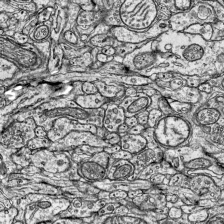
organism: Mouse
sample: Visual Cortex